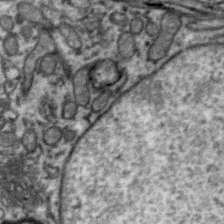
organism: Zebra finch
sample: Brain